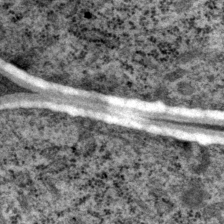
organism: P. pacificus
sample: Pharynx